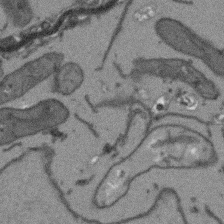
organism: Arabidopsis thaliana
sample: Root tip